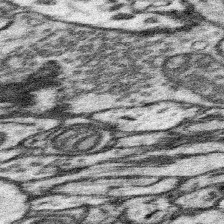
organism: Mouse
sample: Somatosensory cortex neuropil